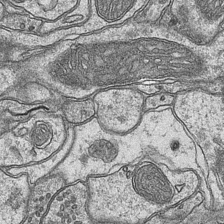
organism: Mouse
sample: CA1 Hippocampus